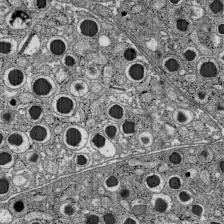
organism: C57BL Mouse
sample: Pancreatic islet